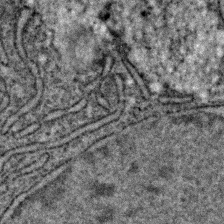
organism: C. elegans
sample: C. elegans embryo